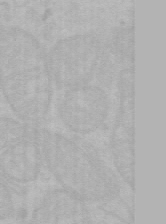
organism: Mouse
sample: Choroid plexus